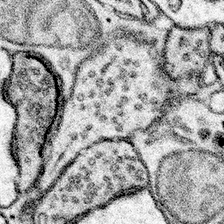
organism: Mouse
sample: Somatosensory cortex neuropil